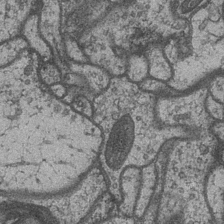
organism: Drosophila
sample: Optic medulla